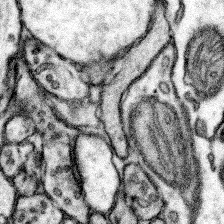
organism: Mouse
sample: Somatosensory cortex neuropil